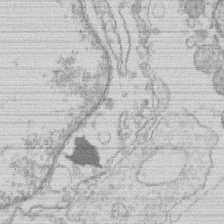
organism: Human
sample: Macrophage cells